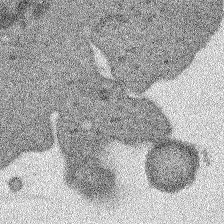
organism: Human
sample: HeLa cells